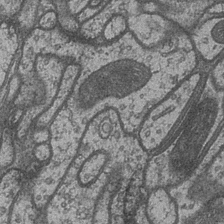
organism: Drosophila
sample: Optic medulla